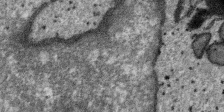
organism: Human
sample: Lung epithelial cells, uninfected (mock) control